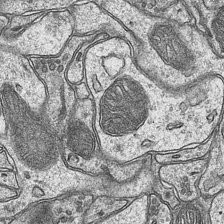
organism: Mouse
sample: CA1 Hippocampus